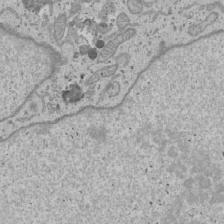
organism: Human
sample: Mitochondria in U2OS cells